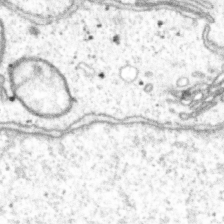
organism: Human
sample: HeLa cells